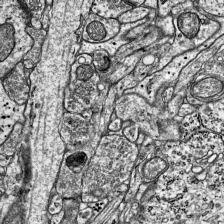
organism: Mouse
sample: Visual Cortex